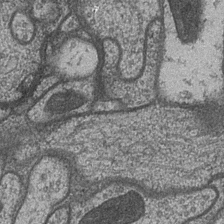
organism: Drosophila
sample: Optic medulla